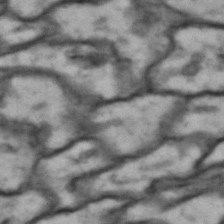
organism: Drosophila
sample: Brain